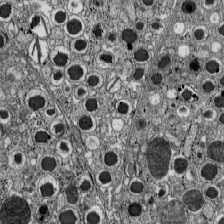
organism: C57BL Mouse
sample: Pancreatic islet